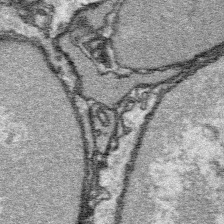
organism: Platynereis dumerilii